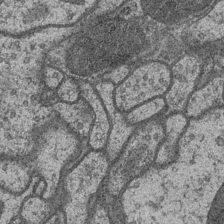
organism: Drosophila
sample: Optic medulla